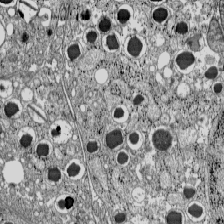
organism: C57BL Mouse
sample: Pancreatic islet